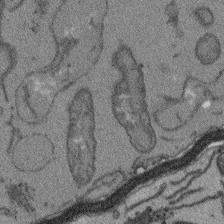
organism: Arabidopsis thaliana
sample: Root tip